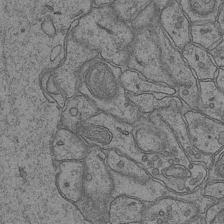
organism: Mouse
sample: CA1 Hippocampus